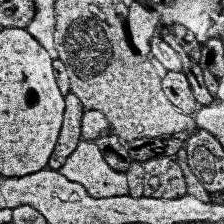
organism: Human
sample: Temporal Lobe